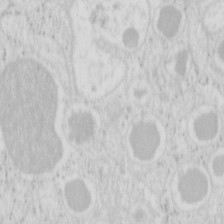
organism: Mouse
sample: Pancreas